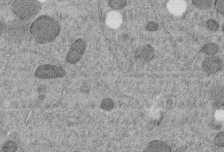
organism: C. elegans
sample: C. elegans embryo early stage